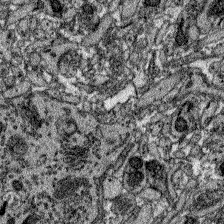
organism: Zebrafish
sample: Larval olfactory bulb